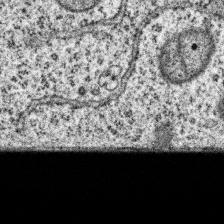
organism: Human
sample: HeLa cells